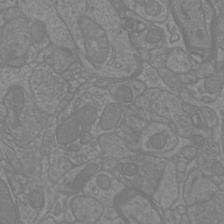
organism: Mouse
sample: Cortical neurons